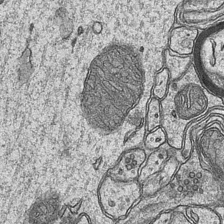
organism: Mouse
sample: CA1 Hippocampus